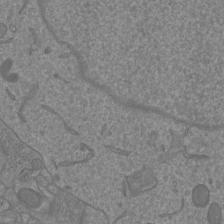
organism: Mouse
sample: Cortical neurons